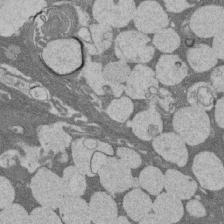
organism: Rat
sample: Salivary granule